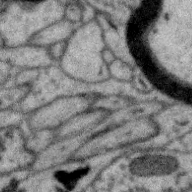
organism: Zebra finch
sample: Brain